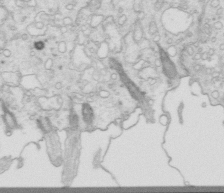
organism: Mouse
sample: Multiciliated cells